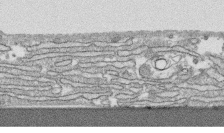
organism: Human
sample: CRL-1474